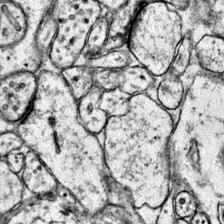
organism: Mouse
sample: Primary visual cortex